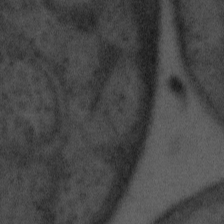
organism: Tuwongella immobilis